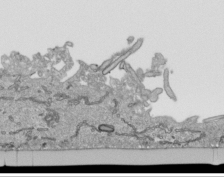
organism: Human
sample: Mitochondria in HCT116 cells